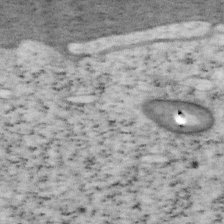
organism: Mouse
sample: OT-I killer T cells with ID8 ovarian cancer cells